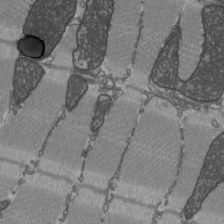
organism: C57BL Mouse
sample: Heart